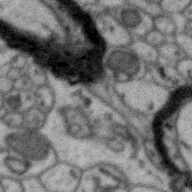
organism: Zebra finch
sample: Brain